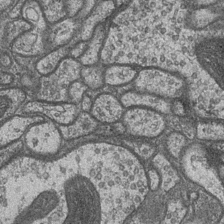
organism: Drosophila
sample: Optic medulla